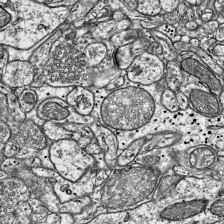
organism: Mouse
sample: Visual Cortex